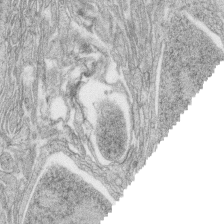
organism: Zebrafish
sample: synaptic ribbons in rod cells and cone cells